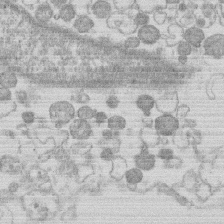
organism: Human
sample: Macrophage cells